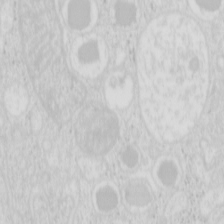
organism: Mouse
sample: Pancreas